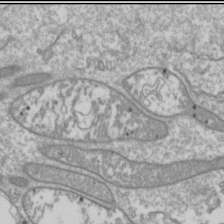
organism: Drosophila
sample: Cell division; meiosis; drosophila spermatocytes